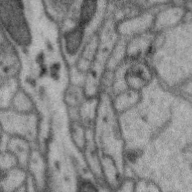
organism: Zebra finch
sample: Brain